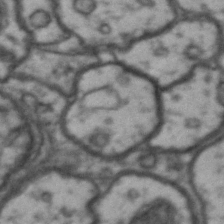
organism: Drosophila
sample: Brain